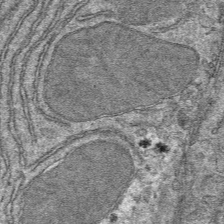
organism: Mouse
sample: Mouse hepatocytes